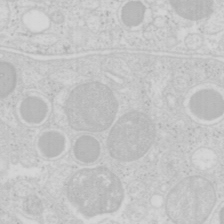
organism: Mouse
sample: Pancreas